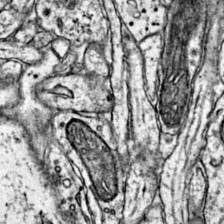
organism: Mouse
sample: Primary visual cortex